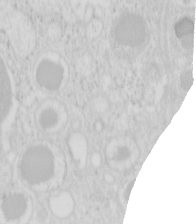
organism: Mouse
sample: Pancreas